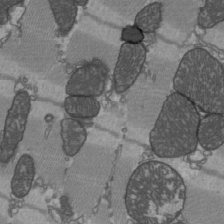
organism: C57BL Mouse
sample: Heart